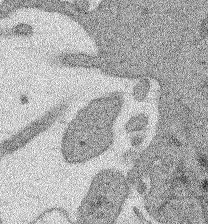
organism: Human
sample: HeLa cells